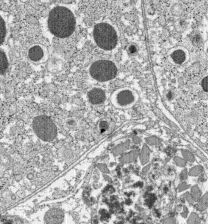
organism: C57BL Mouse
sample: Pancreatic islet